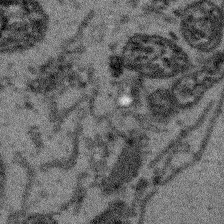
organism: Arabidopsis thaliana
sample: Root tip